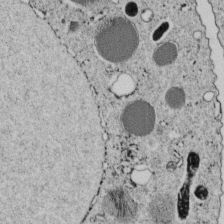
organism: C. elegans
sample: C. elegans embryo early stage